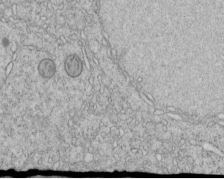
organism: C. elegans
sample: C. elegans embryo early stage